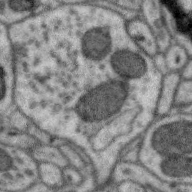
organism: Zebra finch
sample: Brain